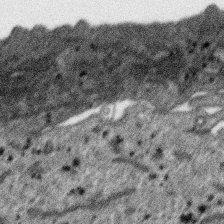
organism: Human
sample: Lung epithelial cells infected with SARS-CoV-2